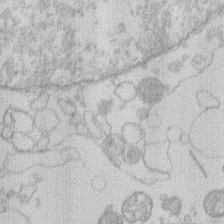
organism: Human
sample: Macrophage cells